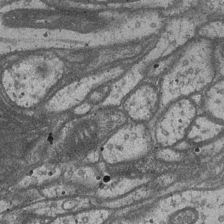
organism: Drosophila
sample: Optic medulla